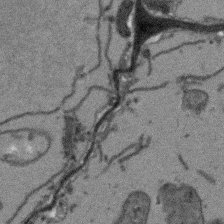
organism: Arabidopsis thaliana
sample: Root tip